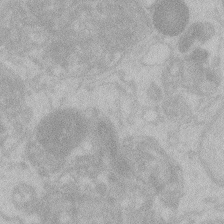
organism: Zebrafish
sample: Macrophage infected with Toxoplasma gondii